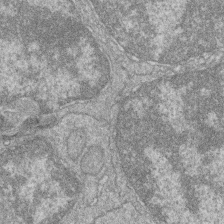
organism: Zebrafish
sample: Cilia; retinal pigment epithelium